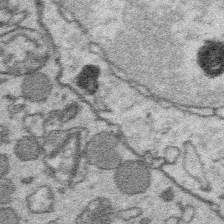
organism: Platynereis dumerilii